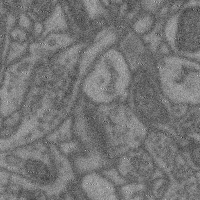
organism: Mouse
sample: Cerebral cortex